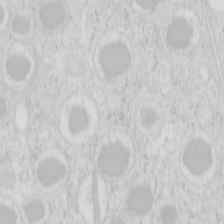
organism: Mouse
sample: Pancreas